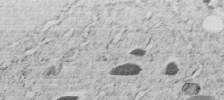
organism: C. elegans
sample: C. elegans embryo early stage